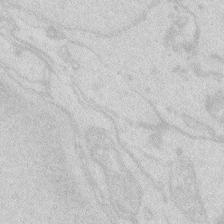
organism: Zebrafish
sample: Macrophage